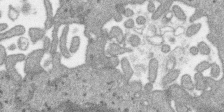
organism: Human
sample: Lung epithelial cells infected with SARS-CoV-2